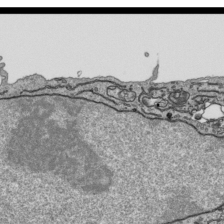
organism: Human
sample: Mitochondria in HCT116 cells